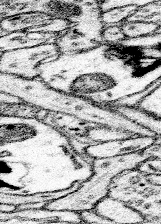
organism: Mouse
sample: Somatosensory cortex neuropil